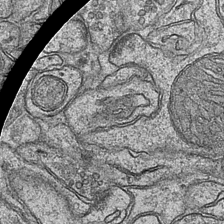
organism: Mouse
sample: CA1 Hippocampus